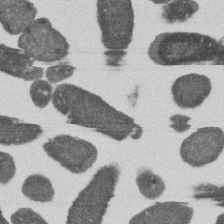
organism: E. coli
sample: Bacterial nucleoid